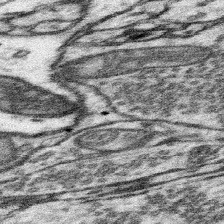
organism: Mouse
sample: Somatosensory cortex neuropil